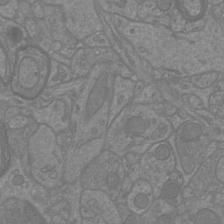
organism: Mouse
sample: Cortical neurons